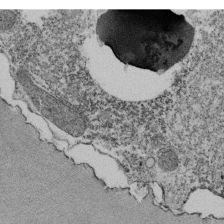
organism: Tetrahymena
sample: Cilia in tetrahymena